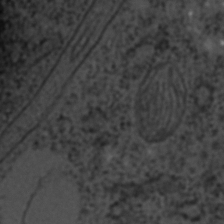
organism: C. elegans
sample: C. elegans embryo